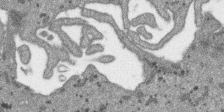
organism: Human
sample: Lung epithelial cells infected with SARS-CoV-2